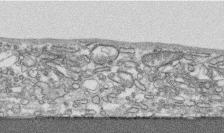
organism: Human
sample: CRL-1474